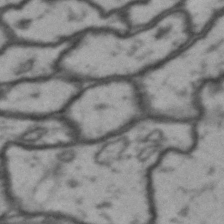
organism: Drosophila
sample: Brain